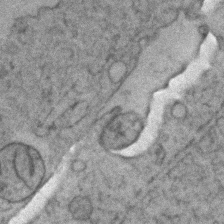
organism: Zebrafish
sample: Zebrafish embryo